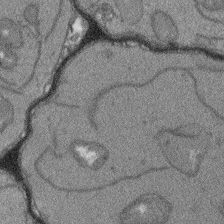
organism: Arabidopsis thaliana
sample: Root tip